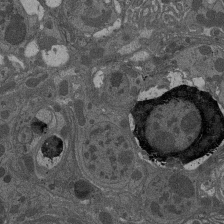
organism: Drosophila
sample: Antenna